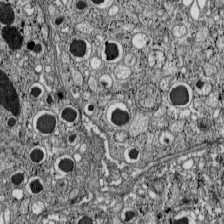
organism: C57BL Mouse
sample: Pancreatic islet